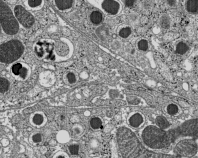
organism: C57BL Mouse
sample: Pancreatic islet